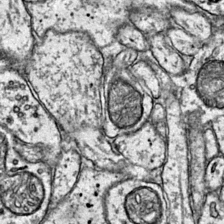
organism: Mouse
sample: Primary visual cortex